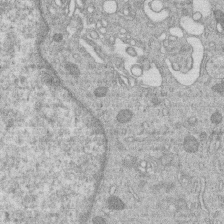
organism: Human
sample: Macrophage cells